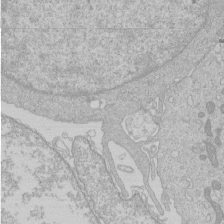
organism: Human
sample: Macrophage cells